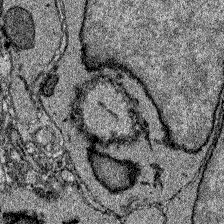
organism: Zebrafish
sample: Larval olfactory bulb